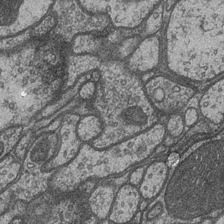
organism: Drosophila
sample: Optic medulla